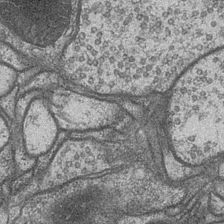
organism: Drosophila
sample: Optic medulla